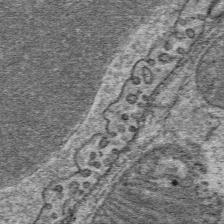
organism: Mouse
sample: Mouse Salivary gland